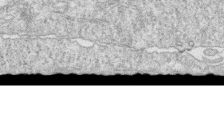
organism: Human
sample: HeLa cell HIV synapse